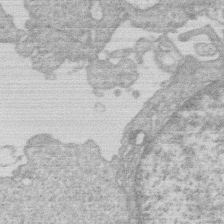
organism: Human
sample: Macrophage cells